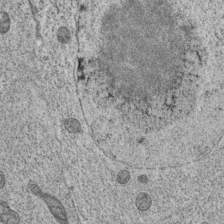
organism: C. elegans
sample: C. elegans oocyte; sperm cells